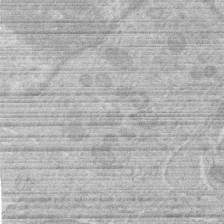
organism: Human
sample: Macrophage cells